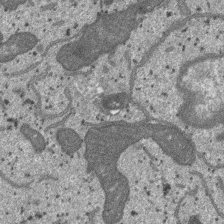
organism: Human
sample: Lung epithelial cells infected with SARS-CoV-2